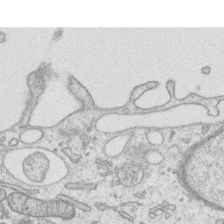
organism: Human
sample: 1205lu cells